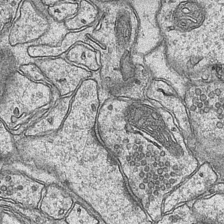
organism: Mouse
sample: CA1 Hippocampus